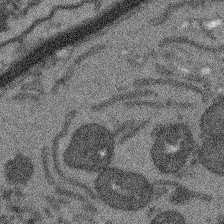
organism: Arabidopsis thaliana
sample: Root tip